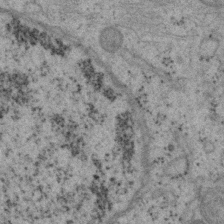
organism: Human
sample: HeLa cells